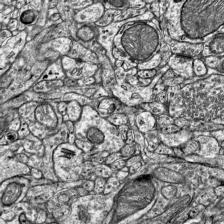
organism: Mouse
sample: Visual Cortex